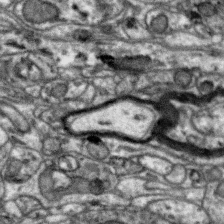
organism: Zebra finch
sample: Brain